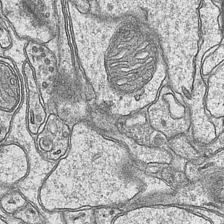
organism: Mouse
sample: CA1 Hippocampus